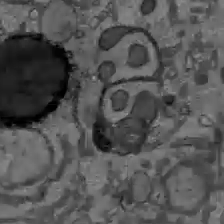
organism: C57BL Mouse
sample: Liver